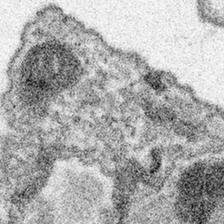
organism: Spongilla lacustris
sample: Neuroid cell